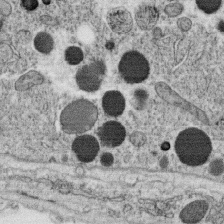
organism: C. elegans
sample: C. elegans oocyte; sperm cells